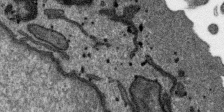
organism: Human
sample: Lung epithelial cells, uninfected (mock) control